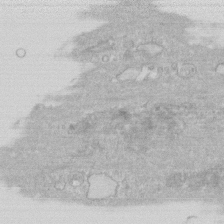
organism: Human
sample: Fibroblast cells